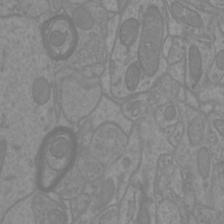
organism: Mouse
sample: Cortical neurons